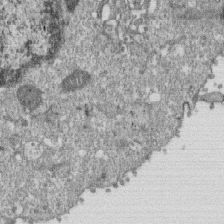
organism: African green monkey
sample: Vero E6 cells infected with SARS-CoV-2